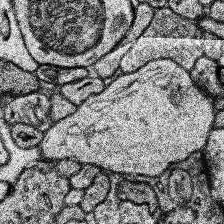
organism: Human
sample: Temporal Lobe